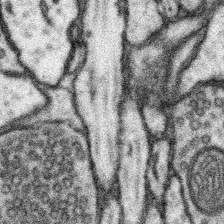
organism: Mouse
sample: Somatosensory cortex neuropil